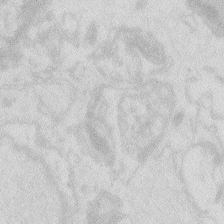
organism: Zebrafish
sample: Macrophage